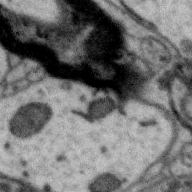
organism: Zebra finch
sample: Brain